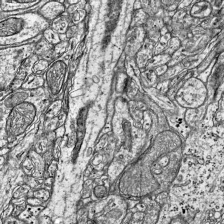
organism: Mouse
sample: Visual Cortex